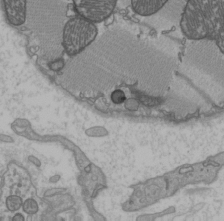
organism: C57BL Mouse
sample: Heart